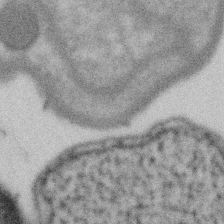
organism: Gemmata obscuriglobus